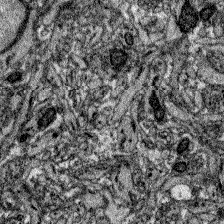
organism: Zebrafish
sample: Larval olfactory bulb